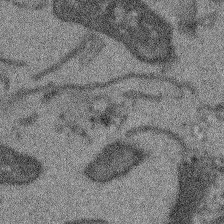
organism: Arabidopsis thaliana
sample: Root tip